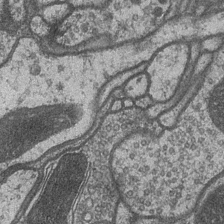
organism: Drosophila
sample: Optic medulla